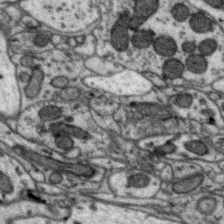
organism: Zebra finch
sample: Brain